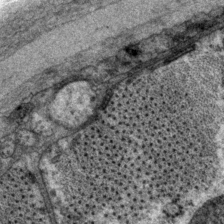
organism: P. pacificus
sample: Pharynx